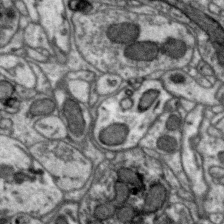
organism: Zebra finch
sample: Brain